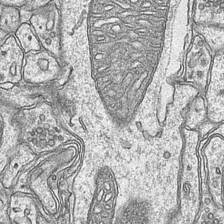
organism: Mouse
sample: CA1 Hippocampus